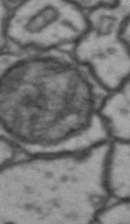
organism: Drosophila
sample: Brain